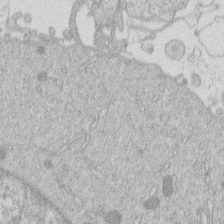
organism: Human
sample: Macrophage cells